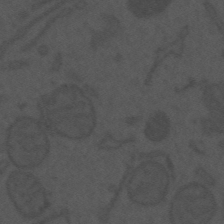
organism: Mouse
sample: Suprachiasmatic nucleus